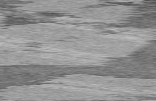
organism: C57BL Mouse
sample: Heart